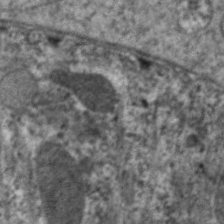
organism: C. elegans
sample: Pharynx